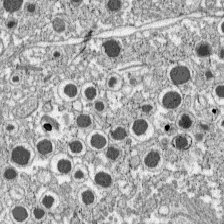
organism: C57BL Mouse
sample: Pancreatic islet